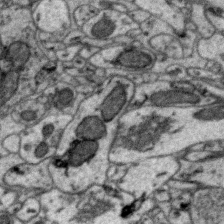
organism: Zebra finch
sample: Brain